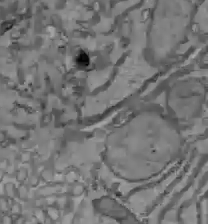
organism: C57BL Mouse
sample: Liver